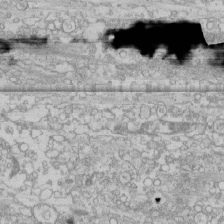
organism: Human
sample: CRL-1474